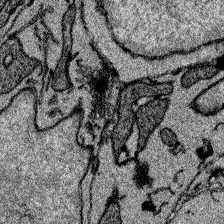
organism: Zebrafish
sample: Larval olfactory bulb